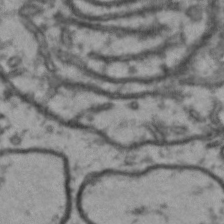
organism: Drosophila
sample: Brain